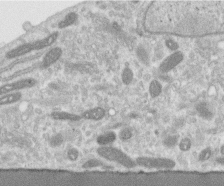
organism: Human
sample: Centriole in RPE cells